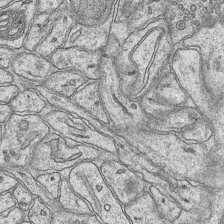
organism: Mouse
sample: CA1 Hippocampus